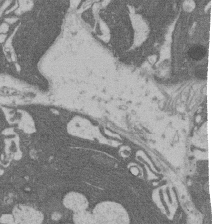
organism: Rat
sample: Salivary granule